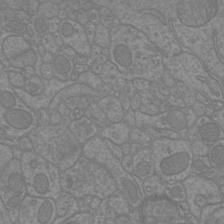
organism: Mouse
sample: Cortical neurons